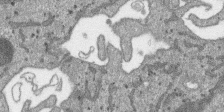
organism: Human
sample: Lung epithelial cells infected with SARS-CoV-2